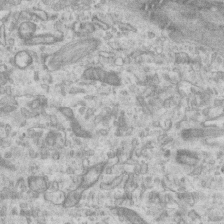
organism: Mouse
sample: Centriole in ependymal cells